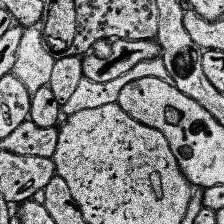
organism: Human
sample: Temporal Lobe